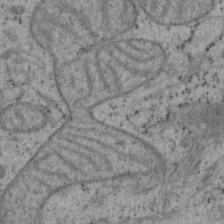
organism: Human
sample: HeLa cells